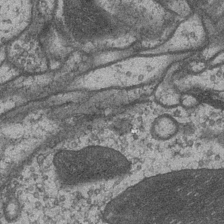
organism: Drosophila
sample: Optic medulla